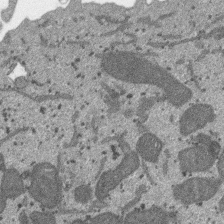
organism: Human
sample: Lung epithelial cells infected with SARS-CoV-2